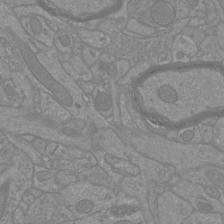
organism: Mouse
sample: Cortical neurons